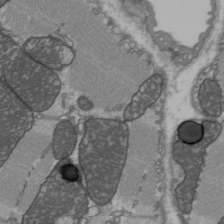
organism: C57BL Mouse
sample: Heart